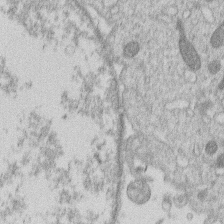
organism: Human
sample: Macrophage cells